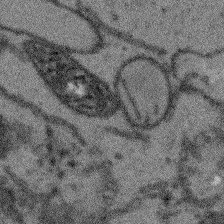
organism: Arabidopsis thaliana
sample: Root tip